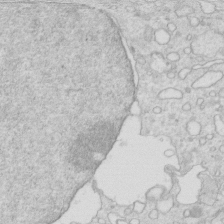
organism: Mouse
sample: Multiciliated cells